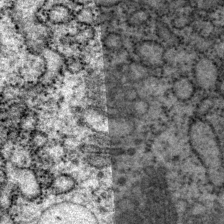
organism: P. pacificus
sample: Pharynx